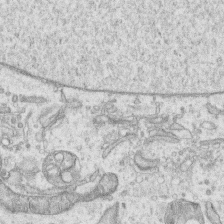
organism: Human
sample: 1205lu cells